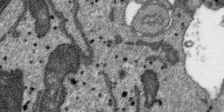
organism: Human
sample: Lung epithelial cells, uninfected (mock) control